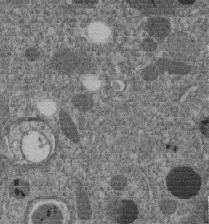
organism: C. elegans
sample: C. elegans embryo early stage